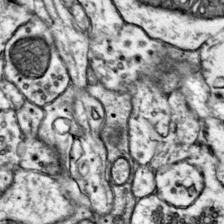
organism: Mouse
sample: Primary visual cortex